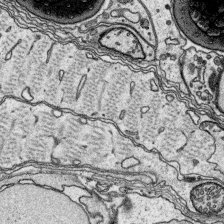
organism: Platynereis dumerilii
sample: Parapodia